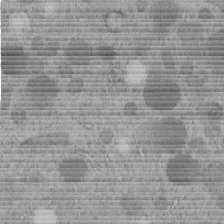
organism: C. elegans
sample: C. elegans embryo early stage